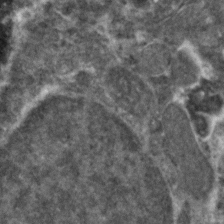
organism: Zebrafish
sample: Zebrafish embryo